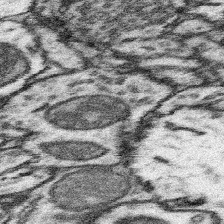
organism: Mouse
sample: Somatosensory cortex neuropil